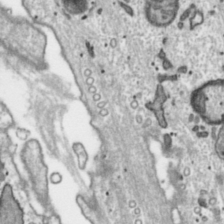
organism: Toxoplasma gondii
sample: Parasites in a vacuole inside a host cell